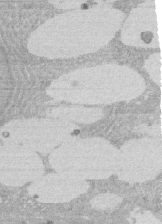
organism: Rat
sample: Salivary granule